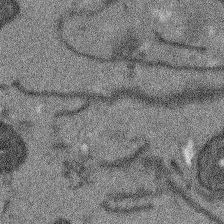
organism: Arabidopsis thaliana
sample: Root tip